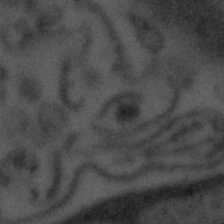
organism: Tuwongella immobilis